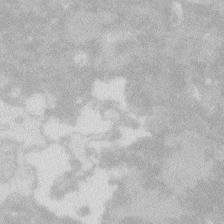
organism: Zebrafish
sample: Macrophage